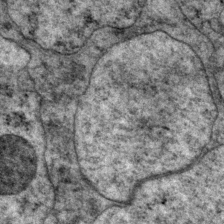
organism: P. pacificus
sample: Pharynx